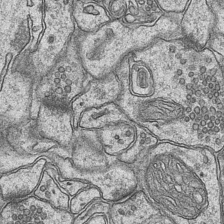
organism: Mouse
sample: CA1 Hippocampus